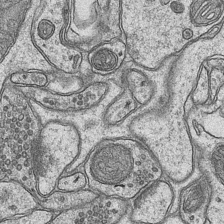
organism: Mouse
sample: CA1 Hippocampus